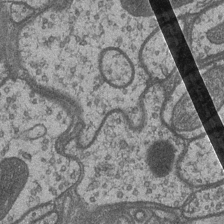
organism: Drosophila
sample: Optic medulla